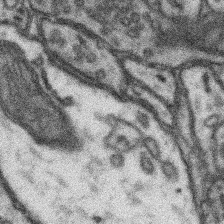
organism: Mouse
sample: Somatosensory cortex neuropil